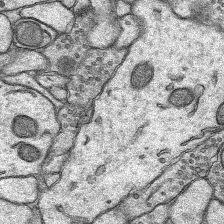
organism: Rat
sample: Hippocampus